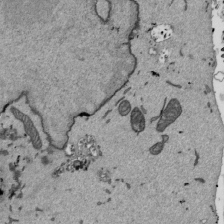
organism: Mouse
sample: ED-1 cell nuclei; centrioles